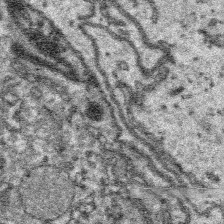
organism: Platynereis dumerilii